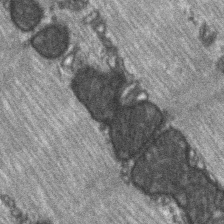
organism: C57BL Mouse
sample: Soleus